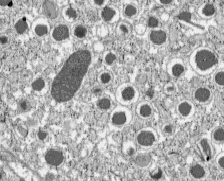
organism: C57BL Mouse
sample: Pancreatic islet